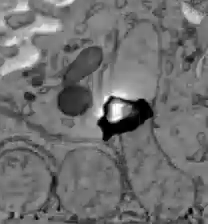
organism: C57BL Mouse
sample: Liver